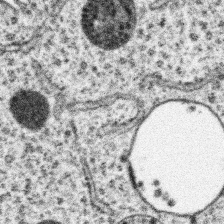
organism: Human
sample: HeLa cells